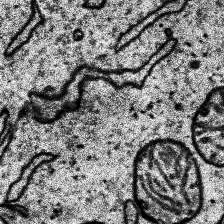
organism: Human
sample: Temporal Lobe